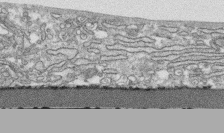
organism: Human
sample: CRL-1474